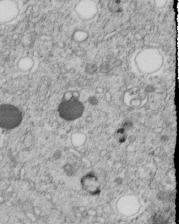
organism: C. elegans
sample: C. elegans embryo early stage